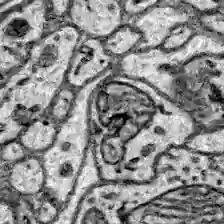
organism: Zebrafish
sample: Brain